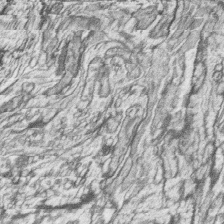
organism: Zebrafish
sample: synaptic ribbons in rod cells and cone cells